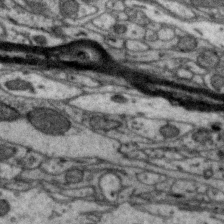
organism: Zebra finch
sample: Brain